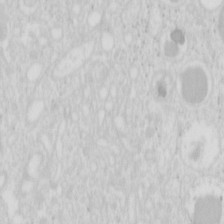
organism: Mouse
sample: Pancreas